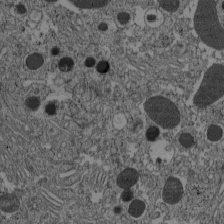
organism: C57BL Mouse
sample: Pancreatic islet